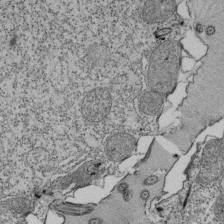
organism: Tetrahymena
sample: Cilia in tetrahymena